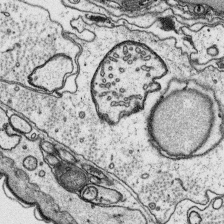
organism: Platynereis dumerilii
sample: Parapodia